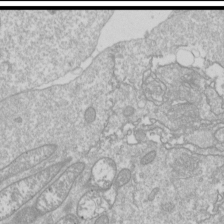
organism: Drosophila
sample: Cell division; meiosis; drosophila spermatocytes